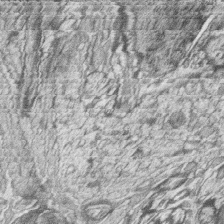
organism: Zebrafish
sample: synaptic ribbons in rod cells and cone cells